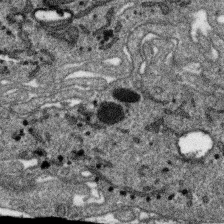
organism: Human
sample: Lung epithelial cells infected with SARS-CoV-2